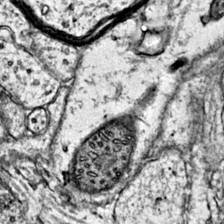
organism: Mouse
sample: Primary visual cortex